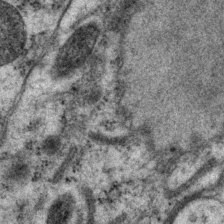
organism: P. pacificus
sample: Pharynx